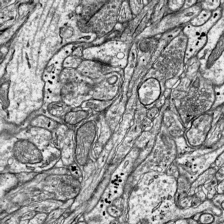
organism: Mouse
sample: Visual Cortex